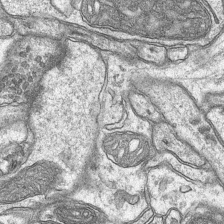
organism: Mouse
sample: CA1 Hippocampus